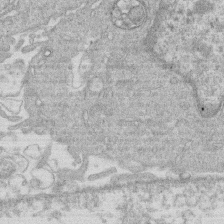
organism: Human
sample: Macrophage cells